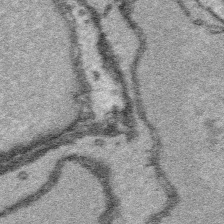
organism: Platynereis dumerilii